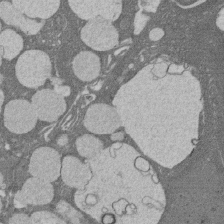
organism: Rat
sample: Salivary granule